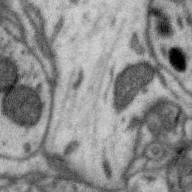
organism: Zebra finch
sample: Brain